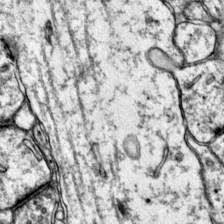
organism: Mouse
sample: Primary visual cortex